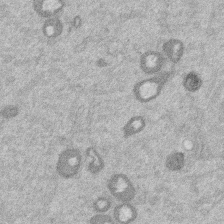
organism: Mouse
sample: Dividing mouse embryo 1 cell stage